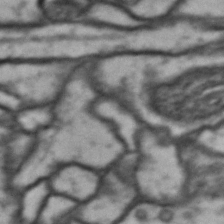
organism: Drosophila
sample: Brain